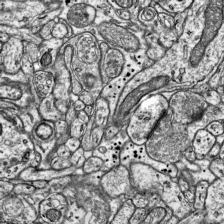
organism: Mouse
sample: Visual Cortex